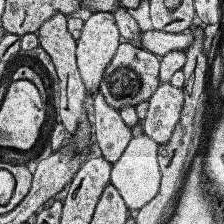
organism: Human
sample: Temporal Lobe